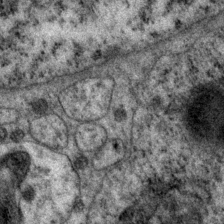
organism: P. pacificus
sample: Pharynx